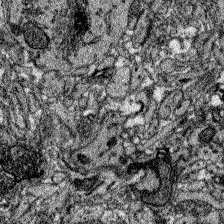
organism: Zebrafish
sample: Larval olfactory bulb